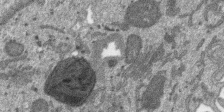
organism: Human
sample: Lung epithelial cells infected with SARS-CoV-2